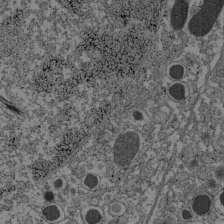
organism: C57BL Mouse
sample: Pancreatic islet